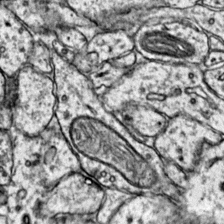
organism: Mouse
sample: Primary visual cortex